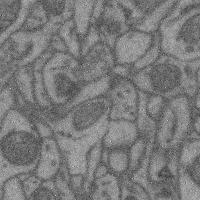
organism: Mouse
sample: Cerebral cortex